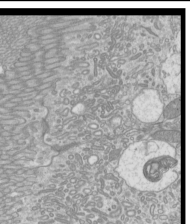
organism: Mouse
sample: Cilia; mouse epididymis